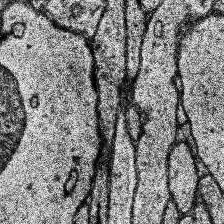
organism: Human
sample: Temporal Lobe